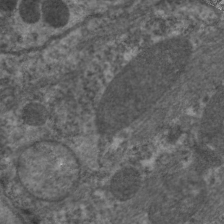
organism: C. elegans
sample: Pharynx